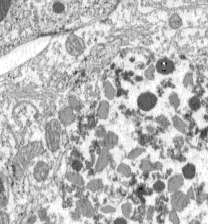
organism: C57BL Mouse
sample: Pancreatic islet